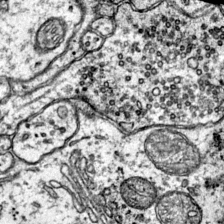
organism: Mouse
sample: Primary visual cortex